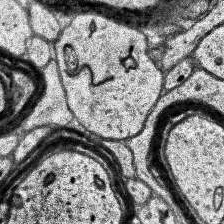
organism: Human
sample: Temporal Lobe